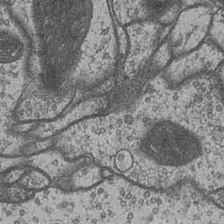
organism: Drosophila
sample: Optic medulla